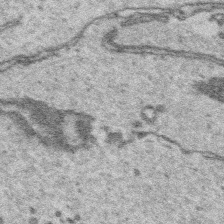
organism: Platynereis dumerilii